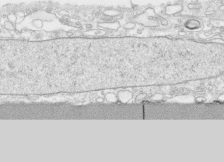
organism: Human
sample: CRL-1474